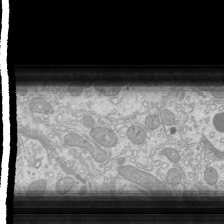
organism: Mouse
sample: Cilia; mouse epididymis